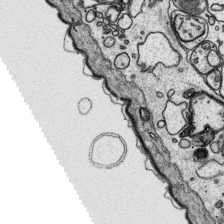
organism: Platynereis dumerilii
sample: Parapodia